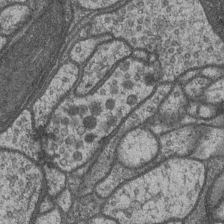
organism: Drosophila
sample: Optic medulla